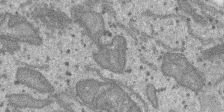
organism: Human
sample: Lung epithelial cells infected with SARS-CoV-2